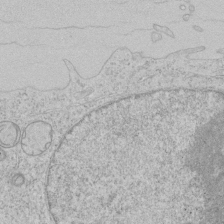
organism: Human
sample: Mitochondria in HCT116 cells